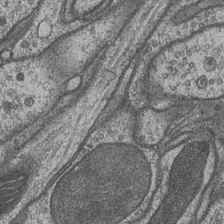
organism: Drosophila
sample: Optic medulla